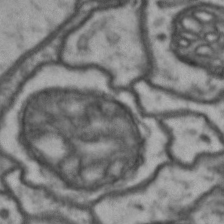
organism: Drosophila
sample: Brain